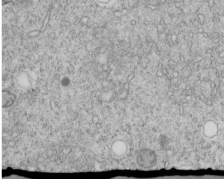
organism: C. elegans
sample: C. elegans embryo early stage